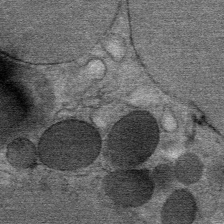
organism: Mouse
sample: Mouse Salivary gland